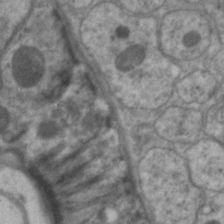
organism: C. elegans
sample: Pharynx